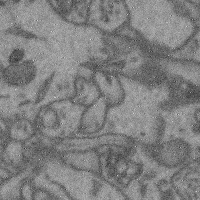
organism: Mouse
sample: Cerebral cortex